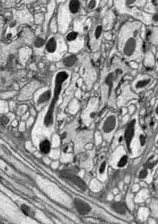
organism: Drosophila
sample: Optic lobe